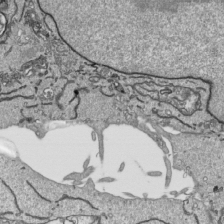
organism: Human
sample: Mitochondria in HCT116 cells